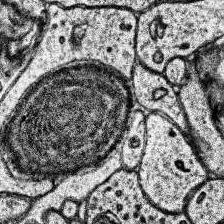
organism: Human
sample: Temporal Lobe